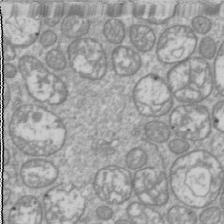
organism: Drosophila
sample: Cell division; meiosis; drosophila spermatocytes